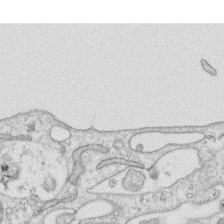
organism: Human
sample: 1205lu cells